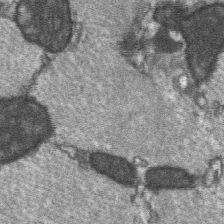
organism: C57BL Mouse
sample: Soleus